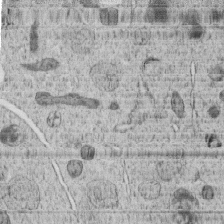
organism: C. elegans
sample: C. elegans embryo early stage